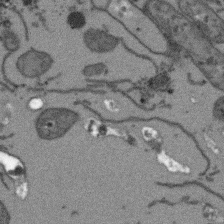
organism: Arabidopsis thaliana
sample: Root tip